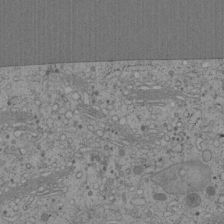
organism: African green monkey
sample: COS-7 cells